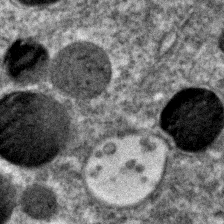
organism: C. elegans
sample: C. elegans embryo